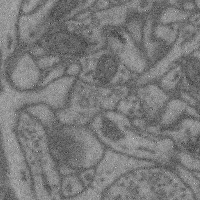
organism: Mouse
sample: Cerebral cortex